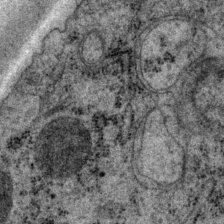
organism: P. pacificus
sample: Pharynx